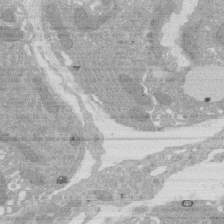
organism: Rat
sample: Salivary granule